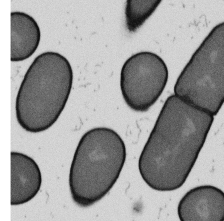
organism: B. subtilis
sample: Bacterial spore